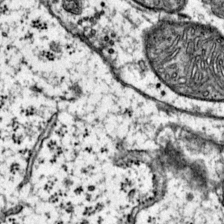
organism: Mouse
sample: Primary visual cortex